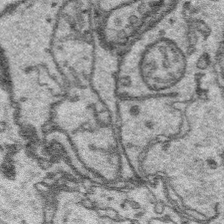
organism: Platynereis dumerilii